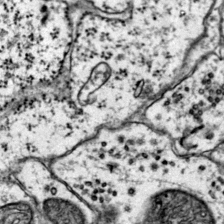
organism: Mouse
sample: Primary visual cortex